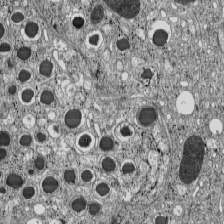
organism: C57BL Mouse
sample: Pancreatic islet